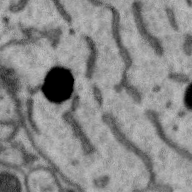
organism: Zebra finch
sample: Brain